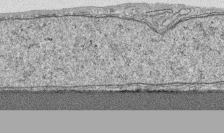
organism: Human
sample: CRL-1474